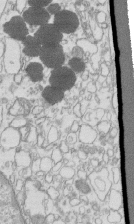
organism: Mouse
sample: Macrophages